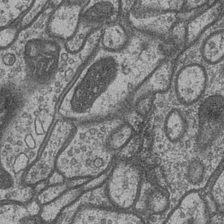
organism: Drosophila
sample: Optic medulla